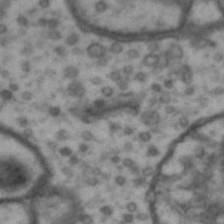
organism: Drosophila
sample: Brain